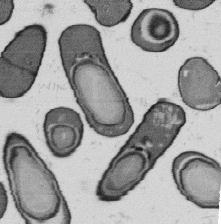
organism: B. subtilis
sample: Bacterial spore